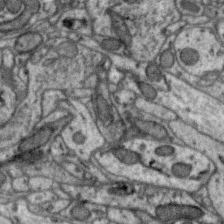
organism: Zebra finch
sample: Brain